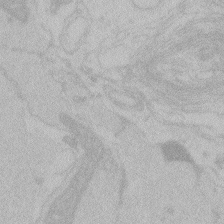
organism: Zebrafish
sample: Macrophage infected with Toxoplasma gondii